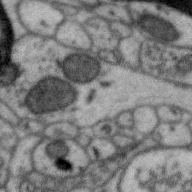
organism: Zebra finch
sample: Brain